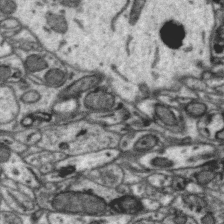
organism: Zebra finch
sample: Brain